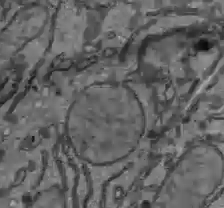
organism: C57BL Mouse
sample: Liver